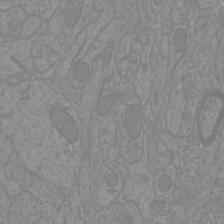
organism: Mouse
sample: Cortical neurons